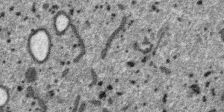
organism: Human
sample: Lung epithelial cells infected with SARS-CoV-2